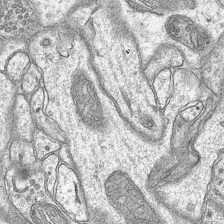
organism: Mouse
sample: CA1 Hippocampus